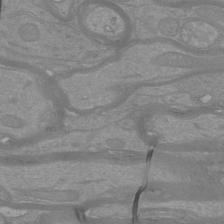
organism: Mouse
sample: Cortical neurons